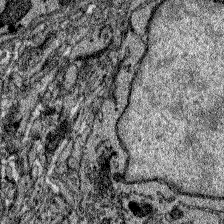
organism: Zebrafish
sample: Larval olfactory bulb